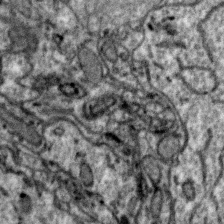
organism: Zebra finch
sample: Brain